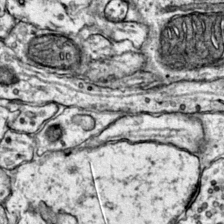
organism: Mouse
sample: Primary visual cortex